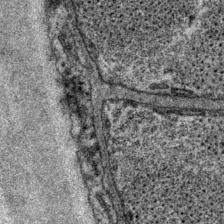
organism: P. pacificus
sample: Pharynx